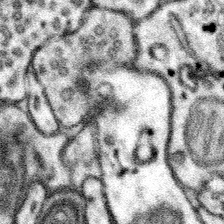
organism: Mouse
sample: Somatosensory cortex neuropil